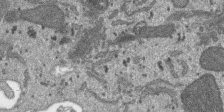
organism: Human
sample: Lung epithelial cells infected with SARS-CoV-2